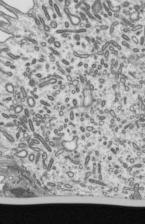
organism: Mouse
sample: Mouse epididymis efferent ductule cilia